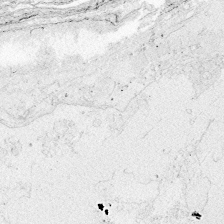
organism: Zebrafish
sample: Whole-Brain